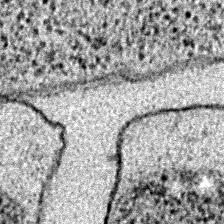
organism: E. coli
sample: E. Coli Bacteria